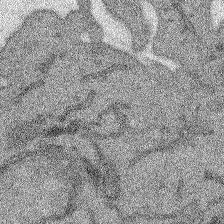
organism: Human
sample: HeLa cells